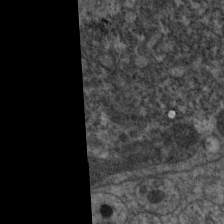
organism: C. elegans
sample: Pharynx